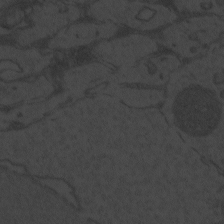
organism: Zebrafish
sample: Macrophage infected with Toxoplasma gondii